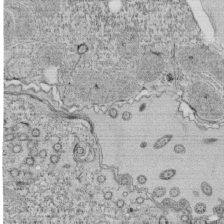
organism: Tetrahymena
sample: Cilia in tetrahymena